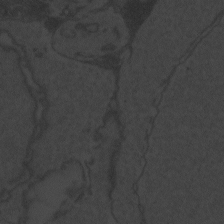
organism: Zebrafish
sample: Macrophage infected with Toxoplasma gondii